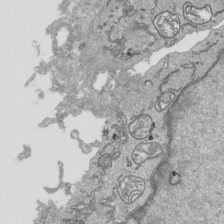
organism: Human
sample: Mitochondria in HCT116 cells